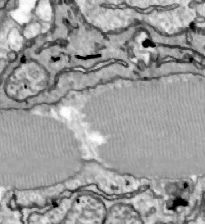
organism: Zebrafish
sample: Actinotrichia fibers